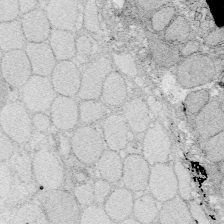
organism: Zebrafish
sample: Whole-Brain